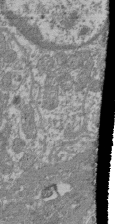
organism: Mouse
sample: Glomerulus